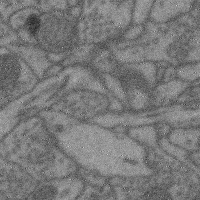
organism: Mouse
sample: Cerebral cortex